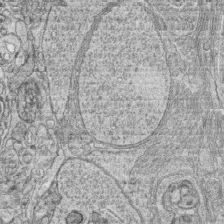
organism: Zebrafish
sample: synaptic ribbons in rod cells and cone cells